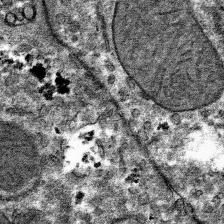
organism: Mouse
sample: Mouse hepatocytes